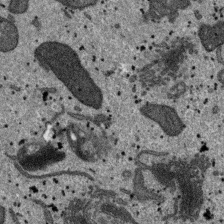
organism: Human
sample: Lung epithelial cells, uninfected (mock) control